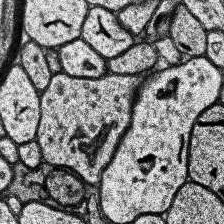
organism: Human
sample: Temporal Lobe